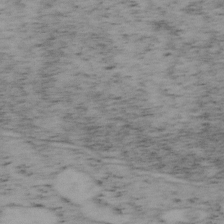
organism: Mouse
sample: OT-I killer T cells with ID8 ovarian cancer cells